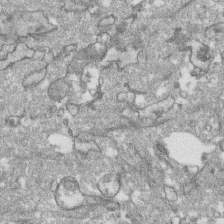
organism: Human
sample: CRL-1474